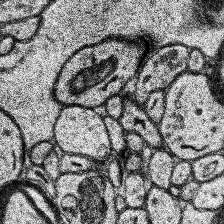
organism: Human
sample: Temporal Lobe